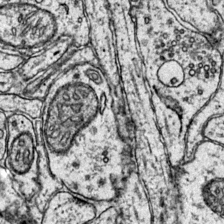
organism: Mouse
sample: Primary visual cortex